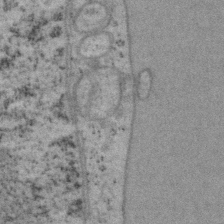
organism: Human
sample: HeLa cells